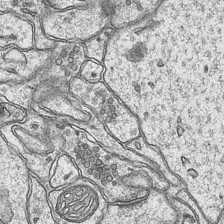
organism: Mouse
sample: CA1 Hippocampus